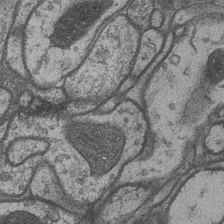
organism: Drosophila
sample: Optic medulla